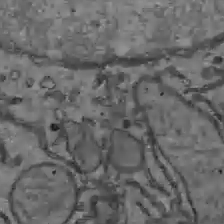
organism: C57BL Mouse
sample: Liver